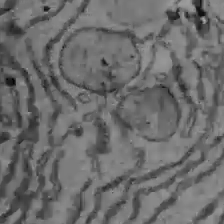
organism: C57BL Mouse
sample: Liver